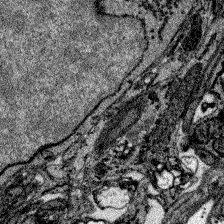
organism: Zebrafish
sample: Larval olfactory bulb